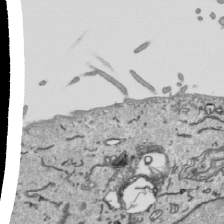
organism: Human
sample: Mitochondria in HCT116 cells